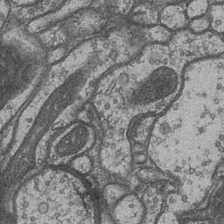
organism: Drosophila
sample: Optic medulla